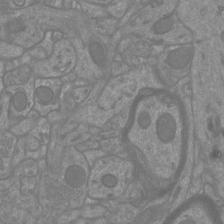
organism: Mouse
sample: Cortical neurons